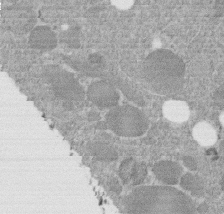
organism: C. elegans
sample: C. elegans embryo early stage